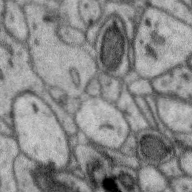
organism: Zebra finch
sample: Brain